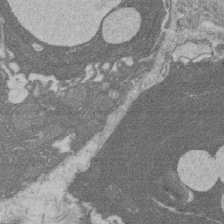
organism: Rat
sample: Salivary granule